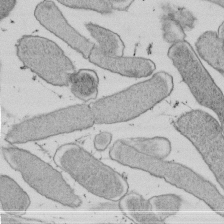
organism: E. coli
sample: Bacterial nucleoid